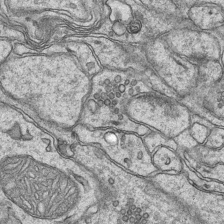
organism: Mouse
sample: CA1 Hippocampus